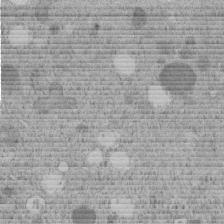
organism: C. elegans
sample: C. elegans embryo early stage